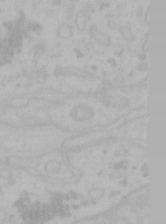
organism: Mouse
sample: Choroid plexus